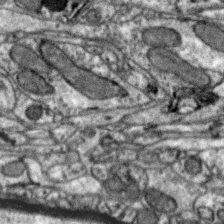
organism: Zebra finch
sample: Brain